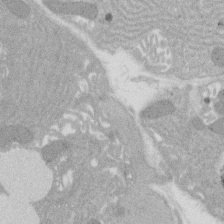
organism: Rat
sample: Salivary granule